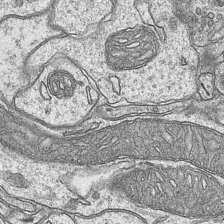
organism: Mouse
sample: CA1 Hippocampus